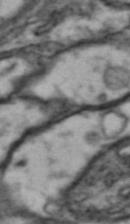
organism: Drosophila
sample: Brain